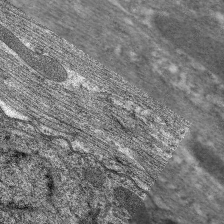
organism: C. elegans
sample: Pharynx